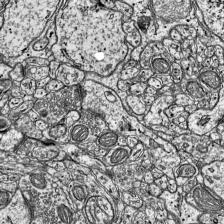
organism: Mouse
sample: Visual Cortex